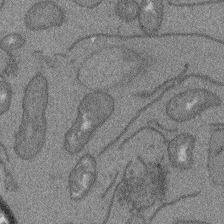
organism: Arabidopsis thaliana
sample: Root tip